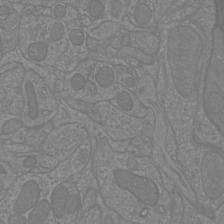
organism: Mouse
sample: Cortical neurons